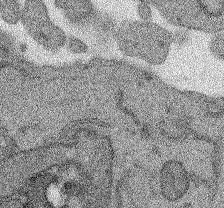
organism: Human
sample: HeLa cells